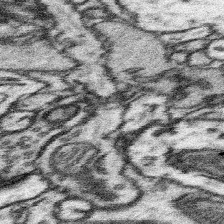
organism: Mouse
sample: Somatosensory cortex neuropil